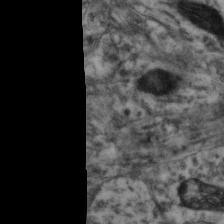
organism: Mouse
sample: Neocortex